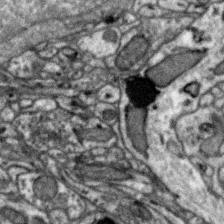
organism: Zebra finch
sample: Brain